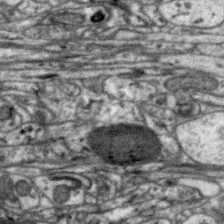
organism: Zebra finch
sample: Brain